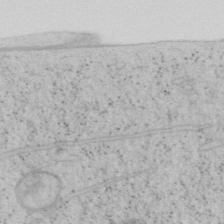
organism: Human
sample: HeLa cells